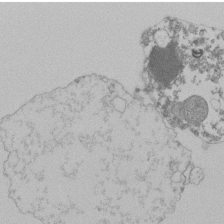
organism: Mouse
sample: Activated Pmel transgenic CD8+ T Cells